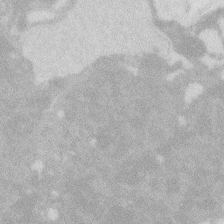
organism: Zebrafish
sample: Macrophage